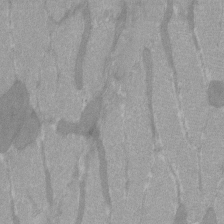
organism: C57BL Mouse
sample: Tibialis anterior muscle cell